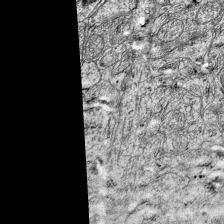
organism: Mouse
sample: Visual Cortex